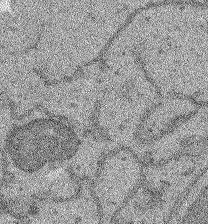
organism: Human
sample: HeLa cells